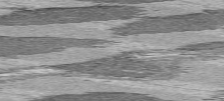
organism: C57BL Mouse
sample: Heart